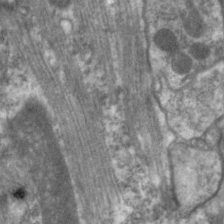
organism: C. elegans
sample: Pharynx